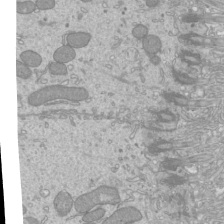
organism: Mouse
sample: Cilia; mouse epididymis